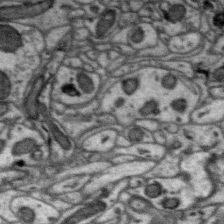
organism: Zebra finch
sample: Brain